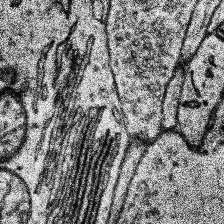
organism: Human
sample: Temporal Lobe